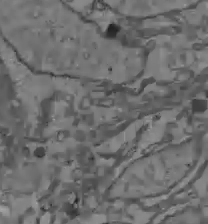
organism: C57BL Mouse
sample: Liver